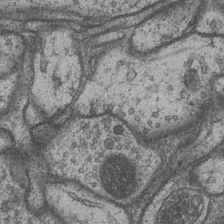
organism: Drosophila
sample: Optic medulla